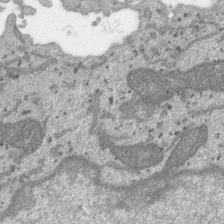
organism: Human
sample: Lung epithelial cells infected with SARS-CoV-2